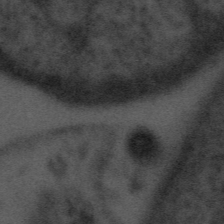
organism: Tuwongella immobilis